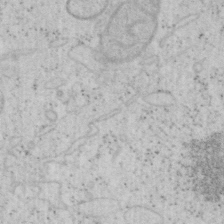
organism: Human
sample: HeLa cells